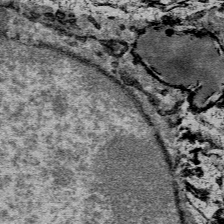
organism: Mouse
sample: Mouse Salivary gland